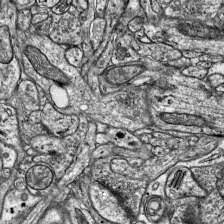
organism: Mouse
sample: Visual Cortex